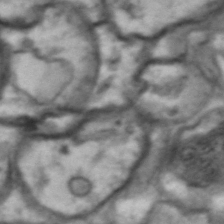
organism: Drosophila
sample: Brain